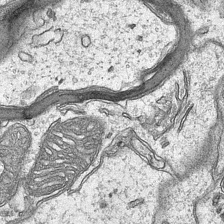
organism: Mouse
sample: CA1 Hippocampus